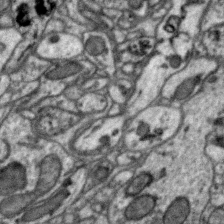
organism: Zebra finch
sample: Brain